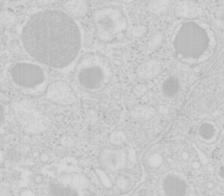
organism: Mouse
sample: Pancreas